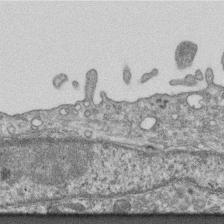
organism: Mouse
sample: Centriole in ependymal cells